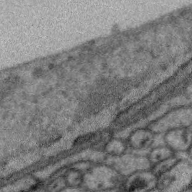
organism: Zebra finch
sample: Brain